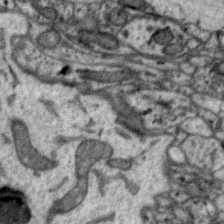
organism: Zebra finch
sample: Brain